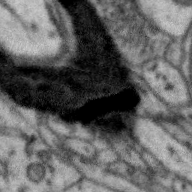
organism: Zebra finch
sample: Brain